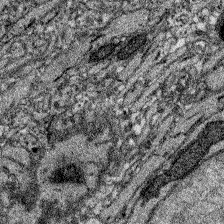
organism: Zebrafish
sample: Larval olfactory bulb